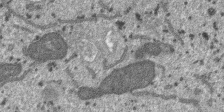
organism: Human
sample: Lung epithelial cells infected with SARS-CoV-2